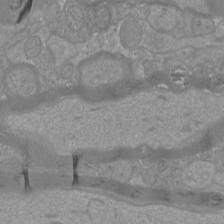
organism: Mouse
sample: Cortical neurons